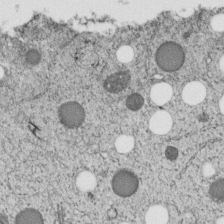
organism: C. elegans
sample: C. elegans embryo early stage